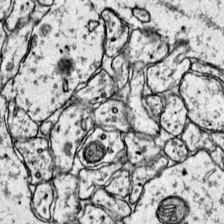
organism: Mouse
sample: Primary visual cortex